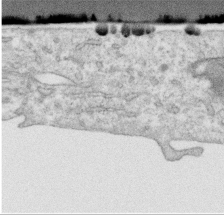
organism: Human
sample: Centriole in RPE cells